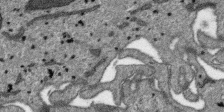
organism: Human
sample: Lung epithelial cells, uninfected (mock) control